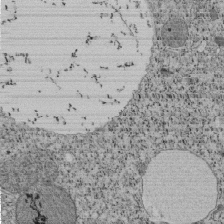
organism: Tetrahymena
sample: Cilia in tetrahymena